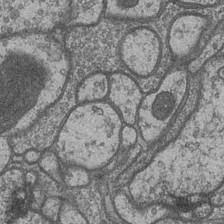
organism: Drosophila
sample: Optic medulla